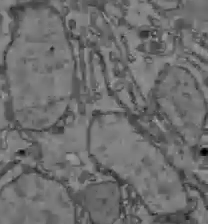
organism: C57BL Mouse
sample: Liver